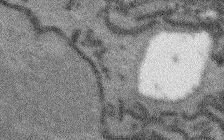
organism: Arabidopsis thaliana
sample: Root tip